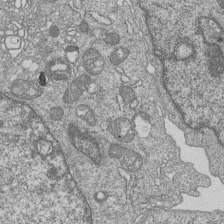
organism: Human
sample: MDA-MB-231 cells